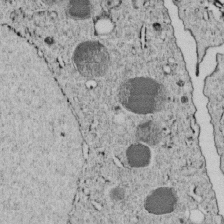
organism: C. elegans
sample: C. elegans embryo early stage